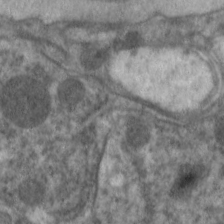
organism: C. elegans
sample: Pharynx